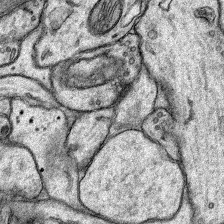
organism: Rat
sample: Hippocampus